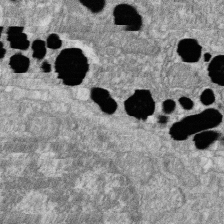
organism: Zebrafish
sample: Cilia; retinal pigment epithelium